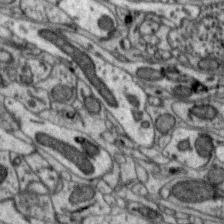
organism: Zebra finch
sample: Brain